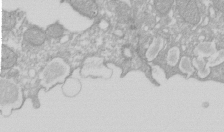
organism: Xenopus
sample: Cilia; centrioles in frog embryo cells